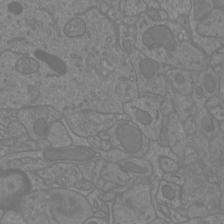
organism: Mouse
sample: Cortical neurons